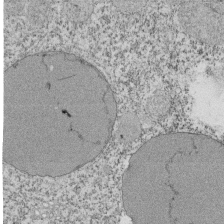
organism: Tetrahymena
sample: Cilia in tetrahymena